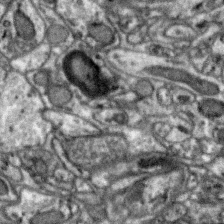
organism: Zebra finch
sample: Brain